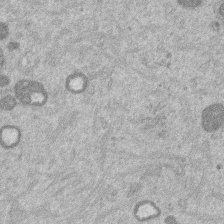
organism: Mouse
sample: Dividing mouse embryo 1 cell stage